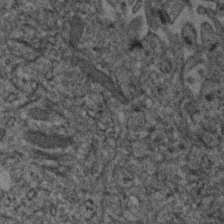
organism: Human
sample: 1205lu cells